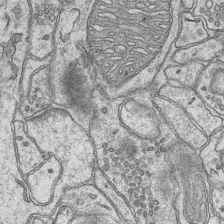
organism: Mouse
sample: CA1 Hippocampus